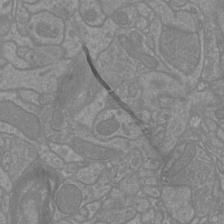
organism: Mouse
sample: Cortical neurons